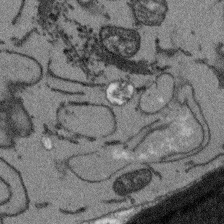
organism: Arabidopsis thaliana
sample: Root tip